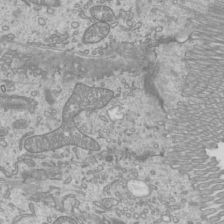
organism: Mouse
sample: Cilia; mouse epididymis